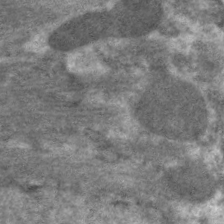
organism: C. elegans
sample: Pharynx